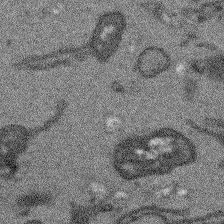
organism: Arabidopsis thaliana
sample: Root tip